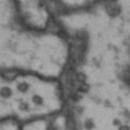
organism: Drosophila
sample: Brain